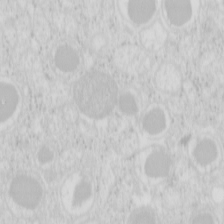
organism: Mouse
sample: Pancreas